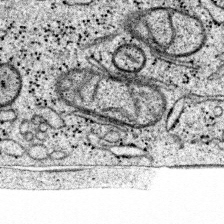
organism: Human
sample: HeLa cells